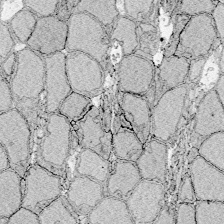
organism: Zebrafish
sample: Whole-Brain